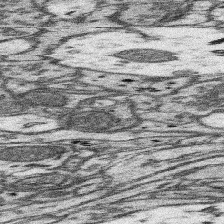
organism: Mouse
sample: Somatosensory cortex neuropil